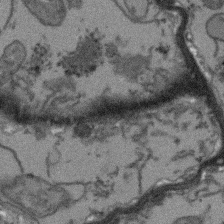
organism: Arabidopsis thaliana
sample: Root tip